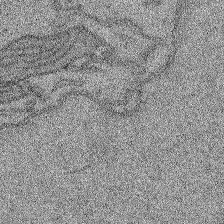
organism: Human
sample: HeLa cells